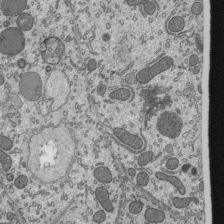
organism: Mouse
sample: Mouse epididymis efferent ductule cilia